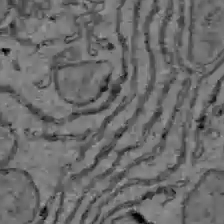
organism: C57BL Mouse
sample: Liver